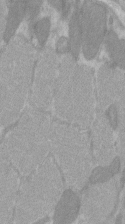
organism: C57BL Mouse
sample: Tibialis anterior muscle cell